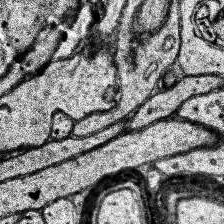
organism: Human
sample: Temporal Lobe